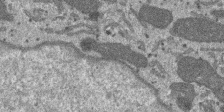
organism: Human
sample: Lung epithelial cells infected with SARS-CoV-2